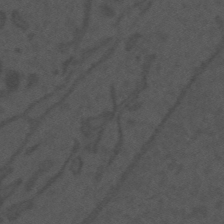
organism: Mouse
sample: Suprachiasmatic nucleus